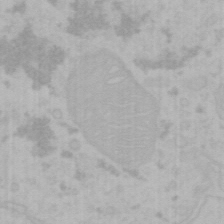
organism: Mouse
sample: Choroid plexus